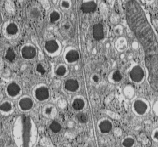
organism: C57BL Mouse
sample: Pancreatic islet